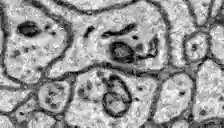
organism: Zebrafish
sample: Brain